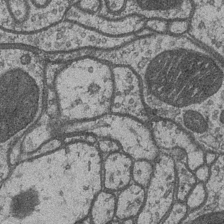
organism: Drosophila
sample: Optic medulla